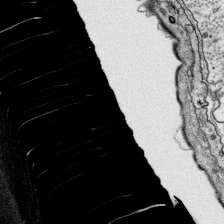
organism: Platynereis dumerilii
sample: Parapodia